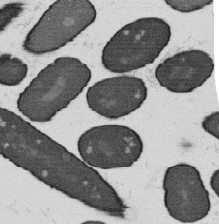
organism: B. subtilis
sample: Bacterial spore